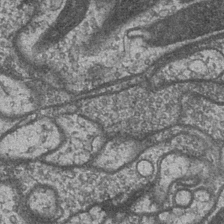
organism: Drosophila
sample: Optic medulla